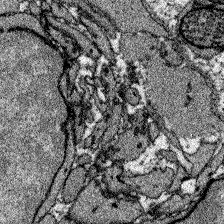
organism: Zebrafish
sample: Larval olfactory bulb